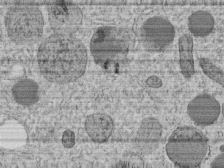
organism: C. elegans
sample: C. elegans embryo early stage